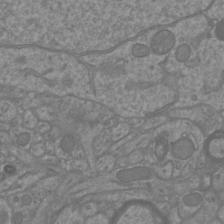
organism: Mouse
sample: Cortical neurons